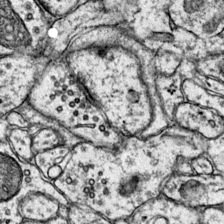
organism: Mouse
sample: Primary visual cortex